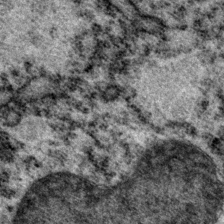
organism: P. pacificus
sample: Pharynx